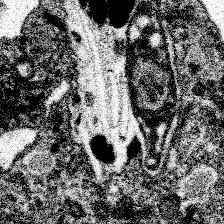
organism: Spongilla lacustris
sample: Neuroid cell